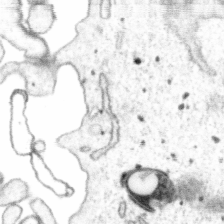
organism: Human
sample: HeLa cells